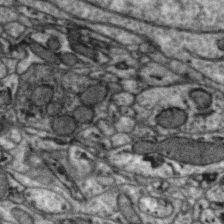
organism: Zebra finch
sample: Brain